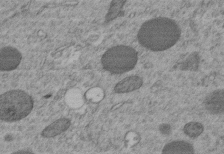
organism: C. elegans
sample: C. elegans embryo early stage